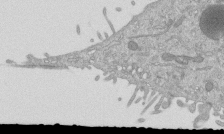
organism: Mouse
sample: ED-1 cell nuclei; centrioles